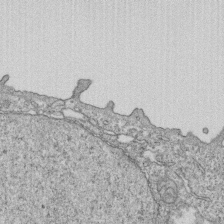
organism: Human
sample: HeLa cell HIV synapse